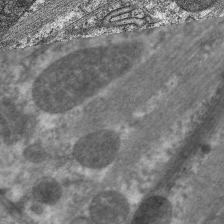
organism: C. elegans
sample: Pharynx